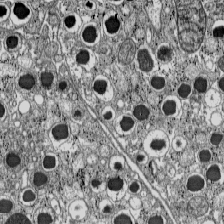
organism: C57BL Mouse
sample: Pancreatic islet